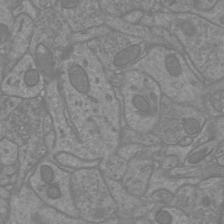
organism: Mouse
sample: Cortical neurons